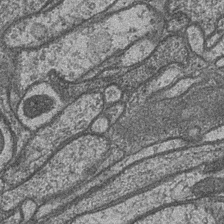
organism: Drosophila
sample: Optic medulla